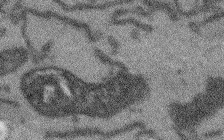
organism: Arabidopsis thaliana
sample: Root tip